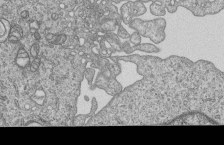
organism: Human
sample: MDA-MB-231 cells